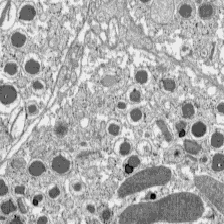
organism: C57BL Mouse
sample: Pancreatic islet